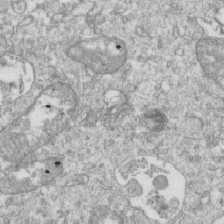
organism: Mouse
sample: Activated OT-1 CD8+ T cells